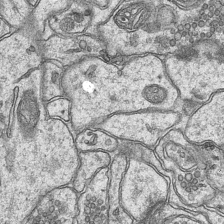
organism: Mouse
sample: CA1 Hippocampus